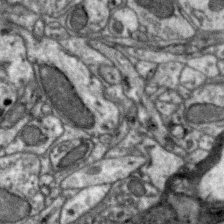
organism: Zebra finch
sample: Brain